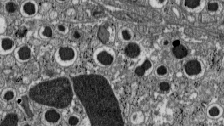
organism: C57BL Mouse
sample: Pancreatic islet